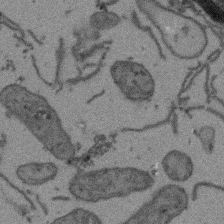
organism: Arabidopsis thaliana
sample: Root tip